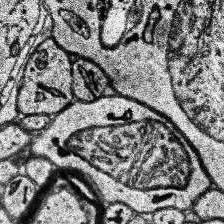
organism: Human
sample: Temporal Lobe